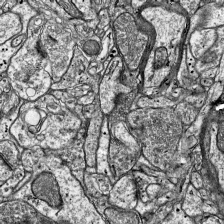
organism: Mouse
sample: Visual Cortex